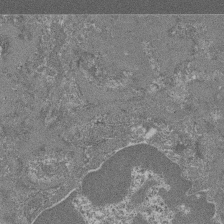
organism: Mouse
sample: Glomerulus